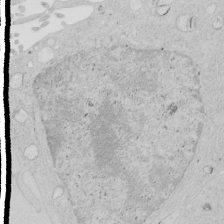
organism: Human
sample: Mitochondria in HCT116 cells